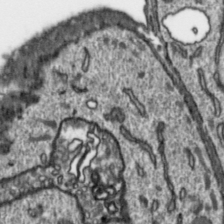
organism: Toxoplasma gondii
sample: Parasites in a vacuole inside a host cell